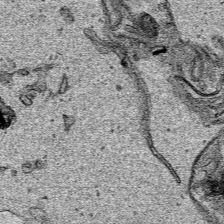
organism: Human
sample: Mitochondria in HCT116 cells